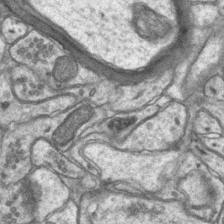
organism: Mouse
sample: CA1 Hippocampus